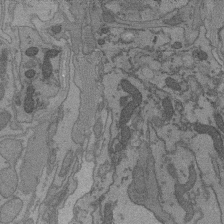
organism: C. elegans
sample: AFD neurons C. elegans